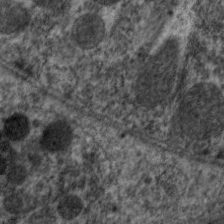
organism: C. elegans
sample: Pharynx